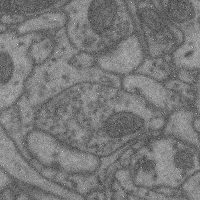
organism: Mouse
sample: Cerebral cortex